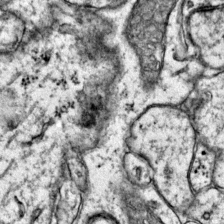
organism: Mouse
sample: Primary visual cortex